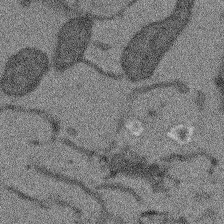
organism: Arabidopsis thaliana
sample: Root tip